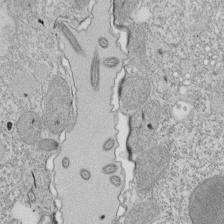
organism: Tetrahymena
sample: Cilia in tetrahymena